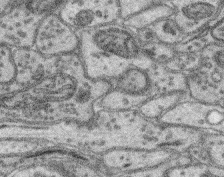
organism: Mouse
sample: Retina